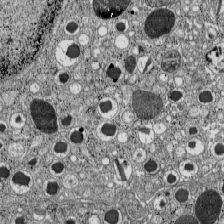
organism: C57BL Mouse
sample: Pancreatic islet